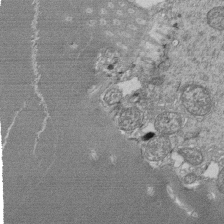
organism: Tetrahymena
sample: Cilia in tetrahymena